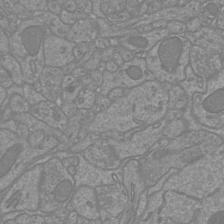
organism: Mouse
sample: Cortical neurons